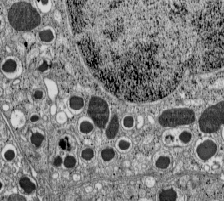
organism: C57BL Mouse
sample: Pancreatic islet